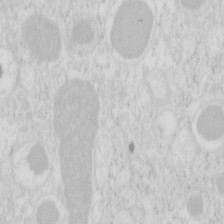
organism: Mouse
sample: Pancreas